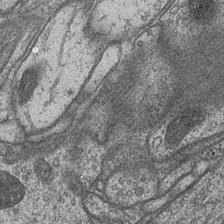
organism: Drosophila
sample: Optic medulla